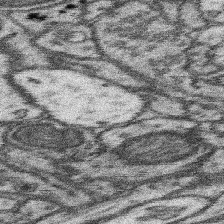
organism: Mouse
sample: Somatosensory cortex neuropil